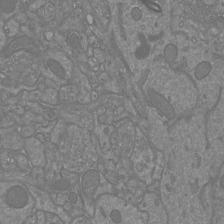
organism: Mouse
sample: Cortical neurons